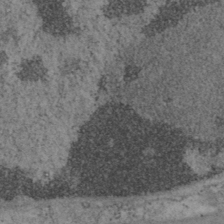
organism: Mouse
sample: OT-I killer T cells with ID8 ovarian cancer cells